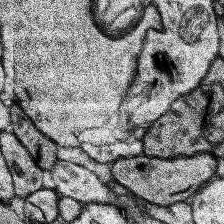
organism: Human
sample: Temporal Lobe